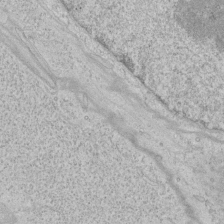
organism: Human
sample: Mitochondria in HCT116 cells